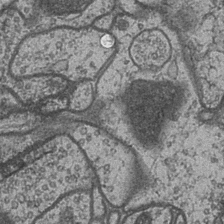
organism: Drosophila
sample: Optic medulla